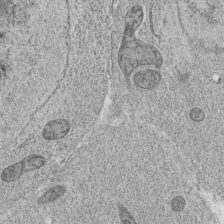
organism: C. elegans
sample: C. elegans oocyte; sperm cells